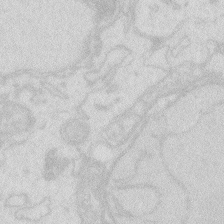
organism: Zebrafish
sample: Macrophage